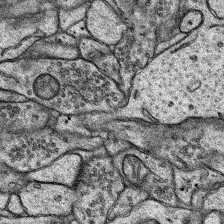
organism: Rat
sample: Hippocampus